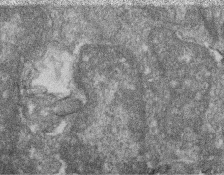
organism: Zebrafish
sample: Cilia; retinal pigment epithelium